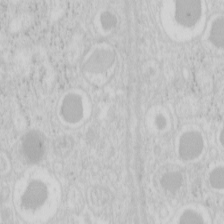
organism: Mouse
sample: Pancreas